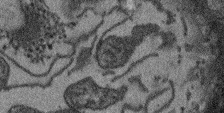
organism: Arabidopsis thaliana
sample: Root tip